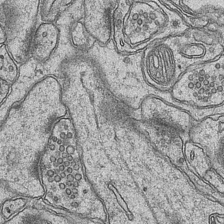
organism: Mouse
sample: CA1 Hippocampus